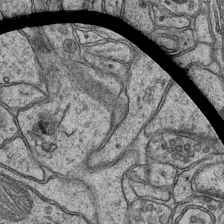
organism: Mouse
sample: CA1 Hippocampus